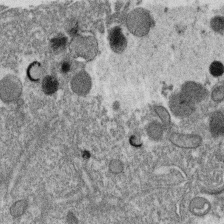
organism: C. elegans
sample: C. elegans oocyte; sperm cells